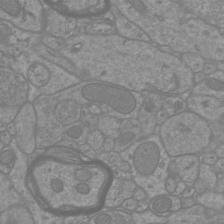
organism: Mouse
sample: Cortical neurons